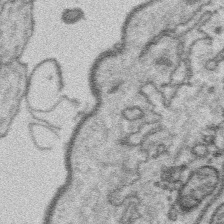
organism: Platynereis dumerilii